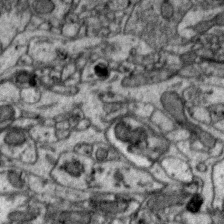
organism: Zebra finch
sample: Brain